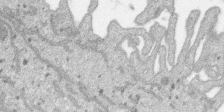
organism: Human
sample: Lung epithelial cells infected with SARS-CoV-2